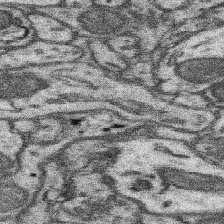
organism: Mouse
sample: Somatosensory cortex neuropil